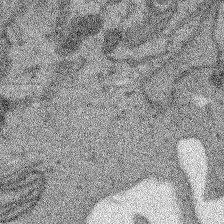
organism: Human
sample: HeLa cells